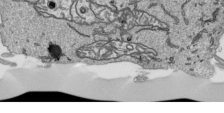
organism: Human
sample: Mitochondria in HCT116 cells